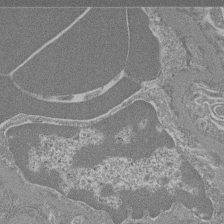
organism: Mouse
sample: Glomerulus